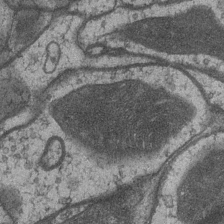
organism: Drosophila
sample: Optic medulla